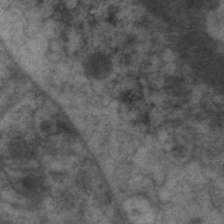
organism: C. elegans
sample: Pharynx